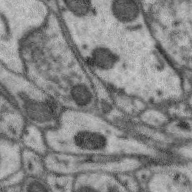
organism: Zebra finch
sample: Brain